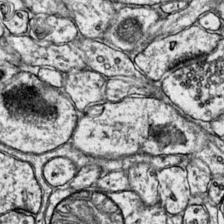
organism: Mouse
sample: Primary visual cortex